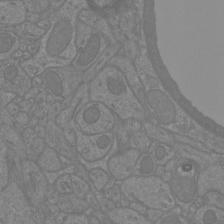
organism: Mouse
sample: Cortical neurons